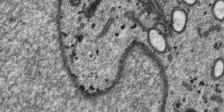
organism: Human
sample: Lung epithelial cells infected with SARS-CoV-2